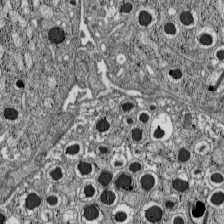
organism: C57BL Mouse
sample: Pancreatic islet